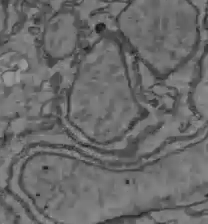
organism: C57BL Mouse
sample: Liver